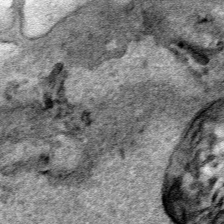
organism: Human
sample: Mitochondria in HCT116 cells